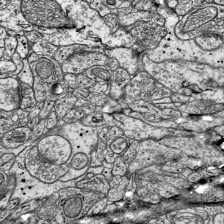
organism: Mouse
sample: Visual Cortex